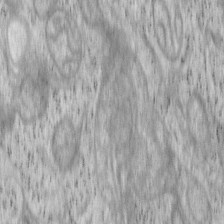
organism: Human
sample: HeLa cells